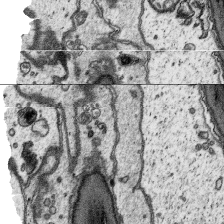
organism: Platynereis dumerilii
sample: Parapodia